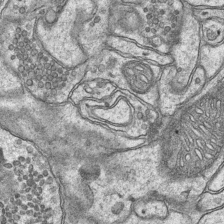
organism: Mouse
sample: CA1 Hippocampus